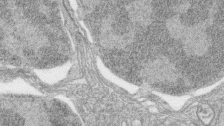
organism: Zebrafish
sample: synaptic ribbons in rod cells and cone cells